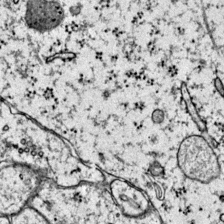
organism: Mouse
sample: Primary visual cortex